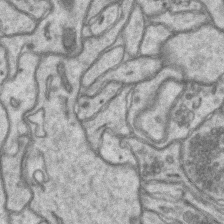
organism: Mouse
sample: CA1 Hippocampus